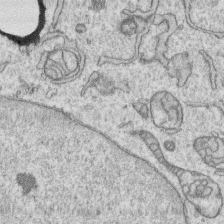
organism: Human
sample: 1205lu cells